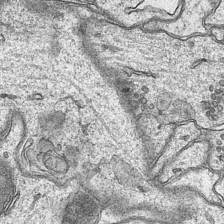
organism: Mouse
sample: CA1 Hippocampus